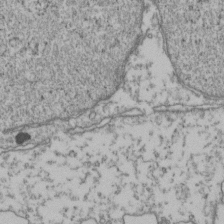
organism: Human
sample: Activated Jurkat CD4+ T cells